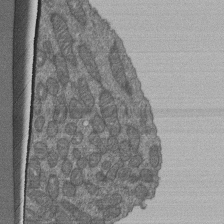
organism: Human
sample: Retinal organoid Rod and Cone cells